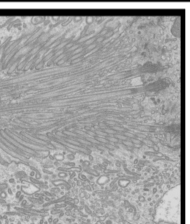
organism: Mouse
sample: Cilia; mouse epididymis